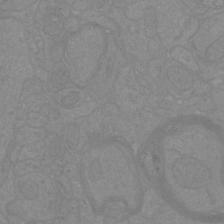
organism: Mouse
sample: Cortical neurons